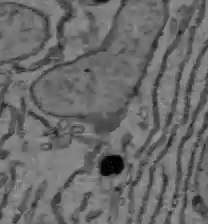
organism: C57BL Mouse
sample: Liver